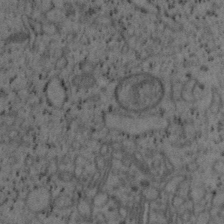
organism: Human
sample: HeLa cells